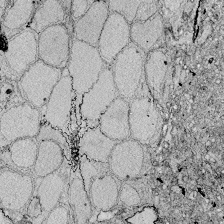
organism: Zebrafish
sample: Whole-Brain